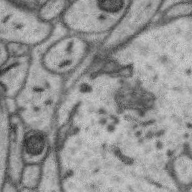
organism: Zebra finch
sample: Brain